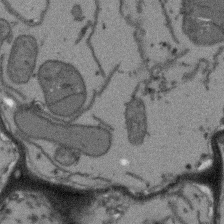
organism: Arabidopsis thaliana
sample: Root tip